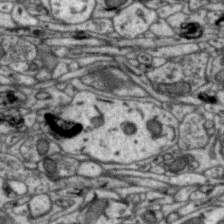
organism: Zebra finch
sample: Brain